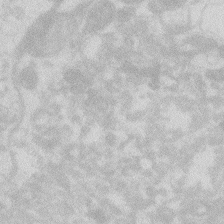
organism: Zebrafish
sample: Macrophage